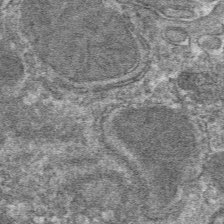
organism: Mouse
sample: Mouse hepatocytes